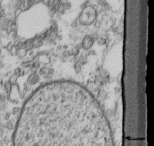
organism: Mouse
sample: Cilia; retinal pigment epithelium